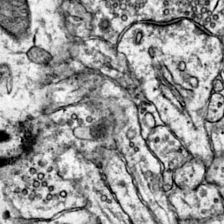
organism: Mouse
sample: Primary visual cortex